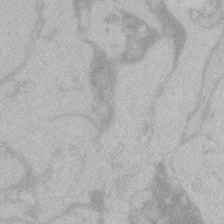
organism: Zebrafish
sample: Macrophage infected with Toxoplasma gondii